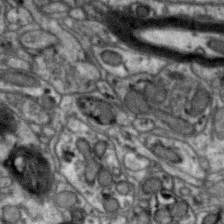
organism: Zebra finch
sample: Brain